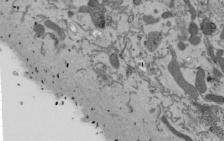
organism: Mouse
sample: ED-1 cell nuclei; centrioles